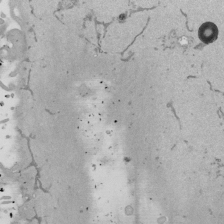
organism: Mouse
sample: ED-1 cell nuclei; centrioles